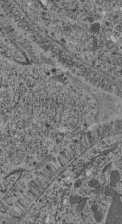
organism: C. elegans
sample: C. elegans pharynx